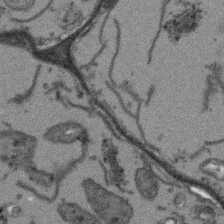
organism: Arabidopsis thaliana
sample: Root tip